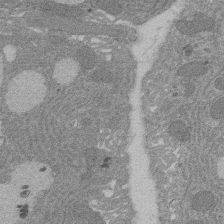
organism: Rat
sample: Salivary granule